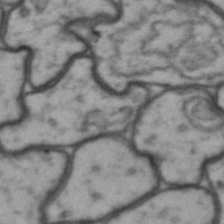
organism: Drosophila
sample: Brain